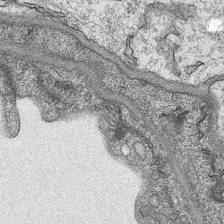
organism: Mouse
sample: CA1 Hippocampus